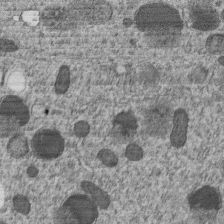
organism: C. elegans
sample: C. elegans embryo early stage